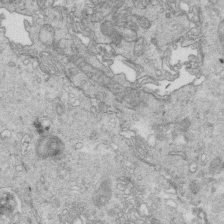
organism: Mouse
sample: Multiciliated cells